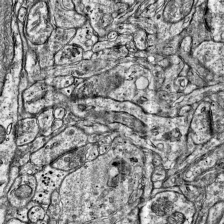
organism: Mouse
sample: Visual Cortex